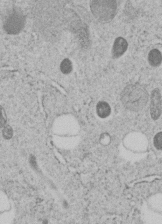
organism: C. elegans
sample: C. elegans embryo early stage